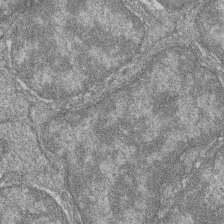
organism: Zebrafish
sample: Cilia; retinal pigment epithelium